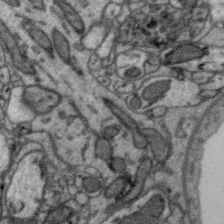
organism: Zebra finch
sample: Brain